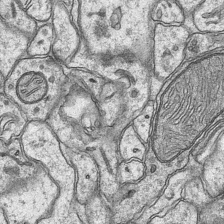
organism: Mouse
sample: CA1 Hippocampus